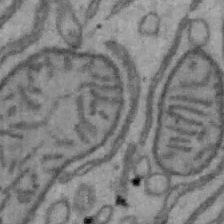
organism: Mouse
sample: Liver